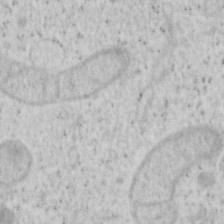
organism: Human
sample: HeLa cells